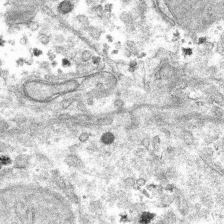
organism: Mouse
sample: Mouse hepatocytes